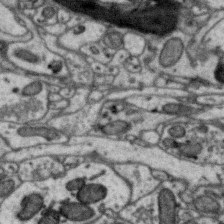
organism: Zebra finch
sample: Brain